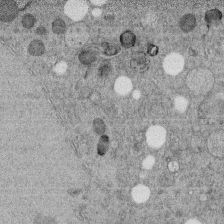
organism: C. elegans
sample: C. elegans embryo early stage